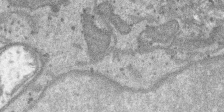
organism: Human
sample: Lung epithelial cells infected with SARS-CoV-2